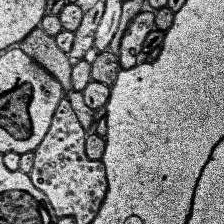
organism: Human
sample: Temporal Lobe